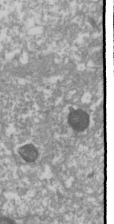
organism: Drosophila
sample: Cell division; meiosis; drosophila spermatocytes